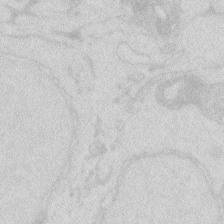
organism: Zebrafish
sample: Macrophage